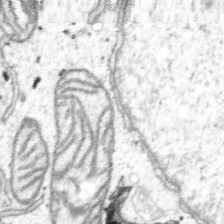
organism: Human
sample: HeLa cells